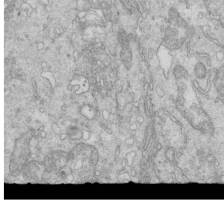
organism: Mouse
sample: Multiciliated cells